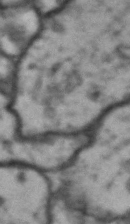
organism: Drosophila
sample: Brain